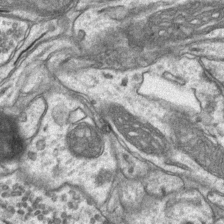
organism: Mouse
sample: CA1 Hippocampus